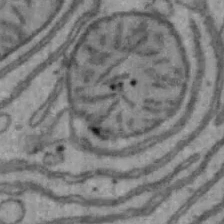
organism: Mouse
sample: Liver